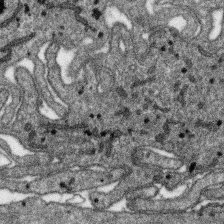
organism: Human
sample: Lung epithelial cells infected with SARS-CoV-2